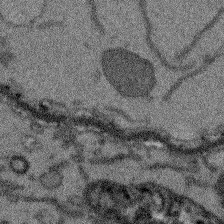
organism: Arabidopsis thaliana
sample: Root tip